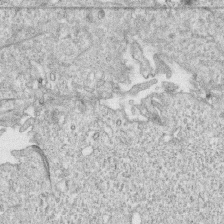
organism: Human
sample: HeLa cell HIV synapse